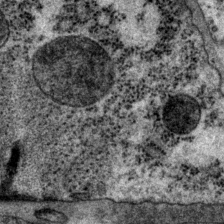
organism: P. pacificus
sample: Pharynx